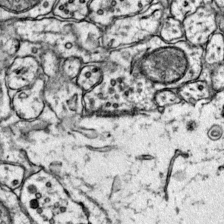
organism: Mouse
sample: Primary visual cortex